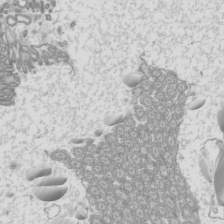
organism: Mouse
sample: Cilia; mouse epididymis